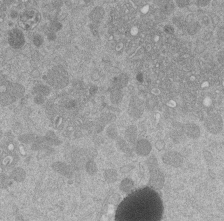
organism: Mouse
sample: Dividing mouse embryo 1 cell stage